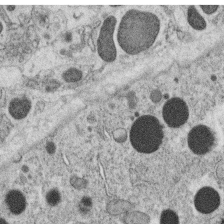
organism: C. elegans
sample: C. elegans oocyte; sperm cells